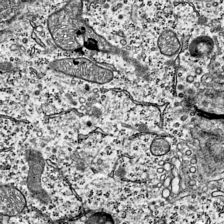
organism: Mouse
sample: Visual Cortex